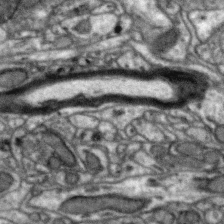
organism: Zebra finch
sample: Brain